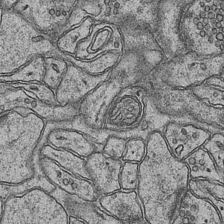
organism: Mouse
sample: CA1 Hippocampus